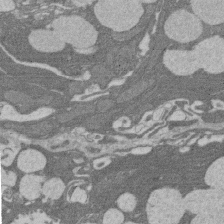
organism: Rat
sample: Salivary granule